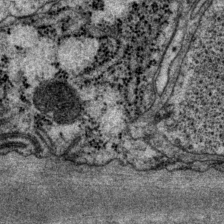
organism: P. pacificus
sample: Pharynx